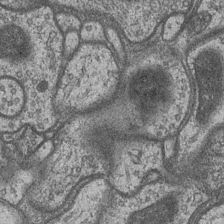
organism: Drosophila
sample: Optic medulla